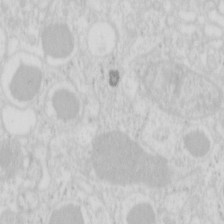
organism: Mouse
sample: Pancreas